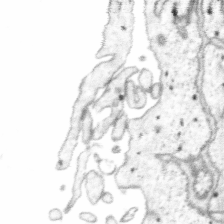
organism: Human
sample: HeLa cells